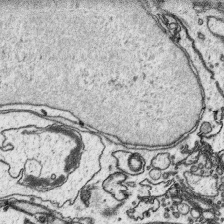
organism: Platynereis dumerilii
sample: Parapodia